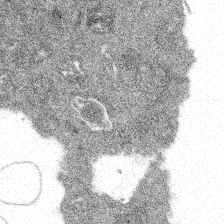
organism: Spongilla lacustris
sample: Multiple